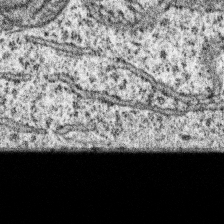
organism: Human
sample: HeLa cells